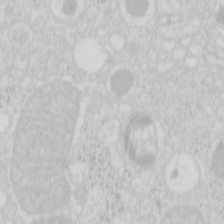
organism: Mouse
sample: Pancreas